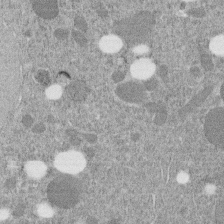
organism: C. elegans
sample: C. elegans embryo early stage